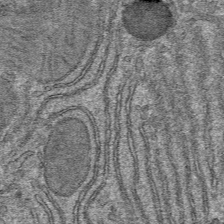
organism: Mouse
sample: Mouse hepatocytes